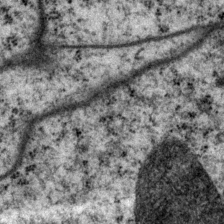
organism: P. pacificus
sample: Pharynx